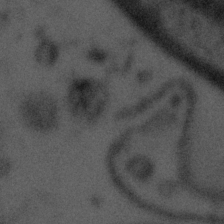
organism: Tuwongella immobilis